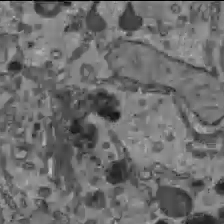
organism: C57BL Mouse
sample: Liver